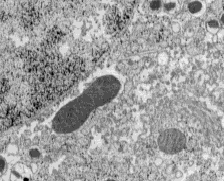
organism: C57BL Mouse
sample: Pancreatic islet